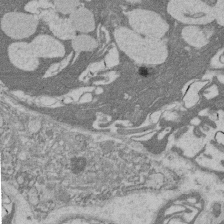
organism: Rat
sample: Salivary granule